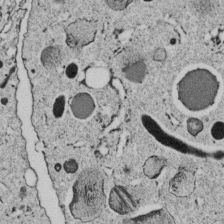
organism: C. elegans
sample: C. elegans embryo early stage